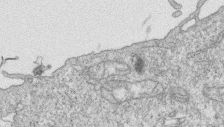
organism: Human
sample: HeLa cell HIV synapse